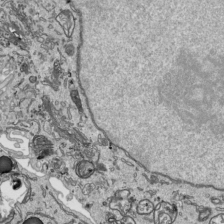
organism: Human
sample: Mitochondria in HCT116 cells